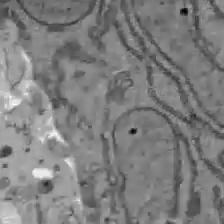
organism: C57BL Mouse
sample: Liver